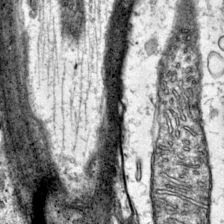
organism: Mouse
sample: Primary visual cortex